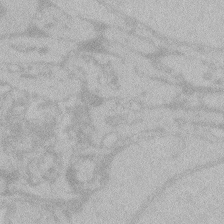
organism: Zebrafish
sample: Macrophage infected with Toxoplasma gondii